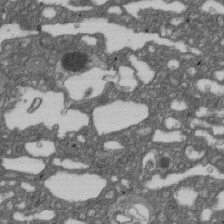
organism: Drosophila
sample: Nephrocyte